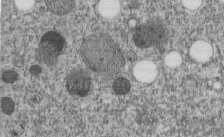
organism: C. elegans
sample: C. elegans embryo early stage